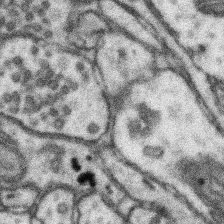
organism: Mouse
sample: Somatosensory cortex neuropil